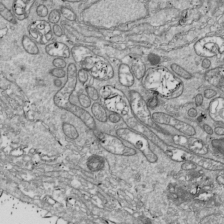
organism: Drosophila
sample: Cell division; meiosis; drosophila spermatocytes